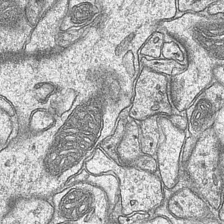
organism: Mouse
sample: CA1 Hippocampus